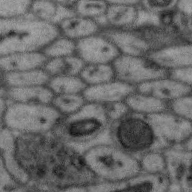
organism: Zebra finch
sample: Brain